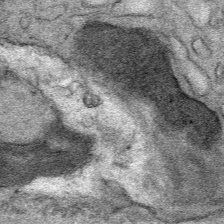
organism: Mouse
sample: Mouse Salivary gland